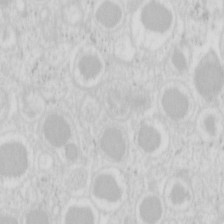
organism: Mouse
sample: Pancreas